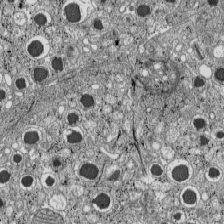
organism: C57BL Mouse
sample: Pancreatic islet